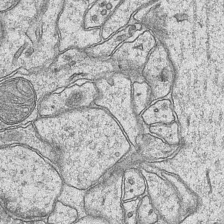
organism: Mouse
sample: CA1 Hippocampus